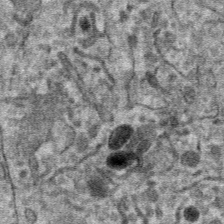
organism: Mouse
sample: Mouse hepatocytes